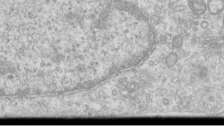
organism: Human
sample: Centriole in RPE cells